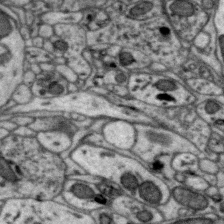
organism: Zebra finch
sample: Brain